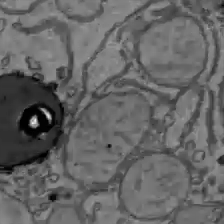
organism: C57BL Mouse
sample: Liver